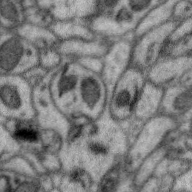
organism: Zebra finch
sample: Brain